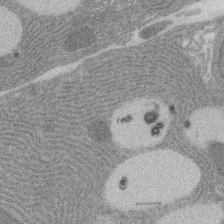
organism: Rat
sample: Salivary granule